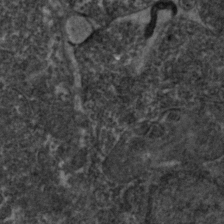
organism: Zebrafish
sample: Zebrafish embryo